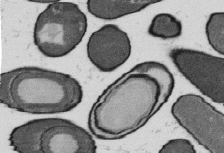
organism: B. subtilis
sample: Bacterial spore